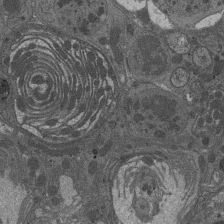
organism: Drosophila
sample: Antenna